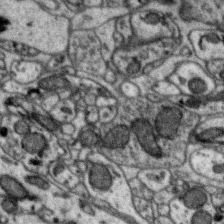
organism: Zebra finch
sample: Brain